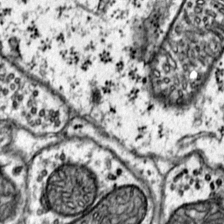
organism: Mouse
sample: Primary visual cortex